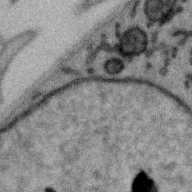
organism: Zebra finch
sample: Brain